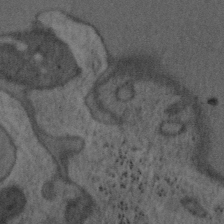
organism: Human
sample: HeLa cells